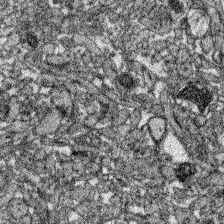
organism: Zebrafish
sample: Larval olfactory bulb